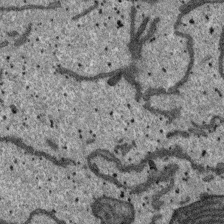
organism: Human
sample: Lung epithelial cells, uninfected (mock) control